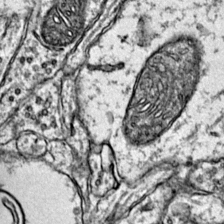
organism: Mouse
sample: Primary visual cortex